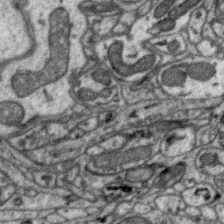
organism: Zebra finch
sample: Brain